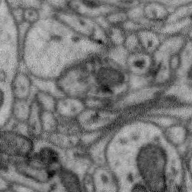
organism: Zebra finch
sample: Brain